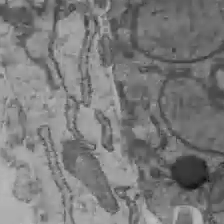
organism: C57BL Mouse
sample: Liver